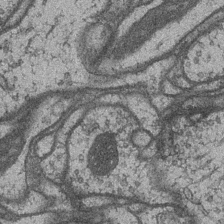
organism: Drosophila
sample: Optic medulla